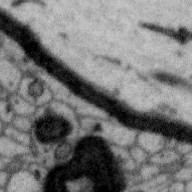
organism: Zebra finch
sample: Brain